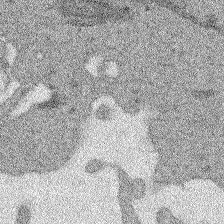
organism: Human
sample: HeLa cells